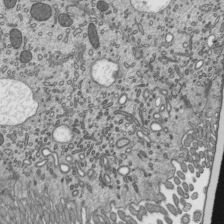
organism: Mouse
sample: Mouse epididymis efferent ductule cilia